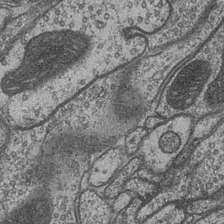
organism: Drosophila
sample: Optic medulla